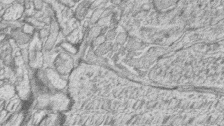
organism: Zebrafish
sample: synaptic ribbons in rod cells and cone cells